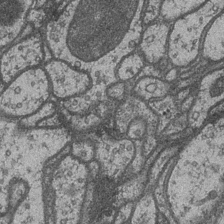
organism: Drosophila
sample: Optic medulla